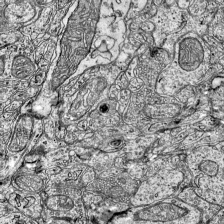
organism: Mouse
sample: Visual Cortex